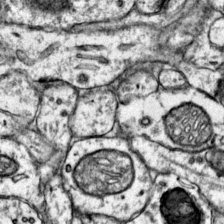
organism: Mouse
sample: Primary visual cortex